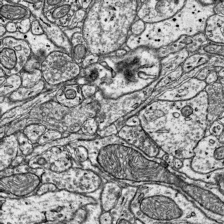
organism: Mouse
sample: Visual Cortex